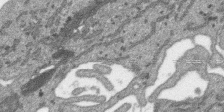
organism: Human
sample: Lung epithelial cells infected with SARS-CoV-2